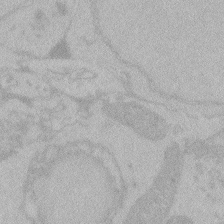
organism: Zebrafish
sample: Macrophage infected with Toxoplasma gondii